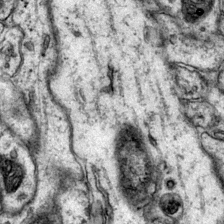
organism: Mouse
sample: Primary visual cortex